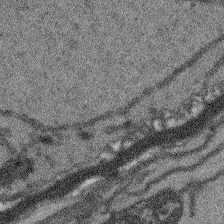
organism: Arabidopsis thaliana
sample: Root tip